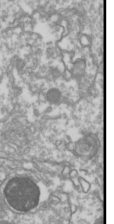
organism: Drosophila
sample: Cell division; meiosis; drosophila spermatocytes